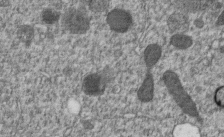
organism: C. elegans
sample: C. elegans embryo early stage